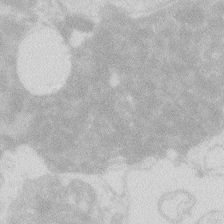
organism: Zebrafish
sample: Macrophage